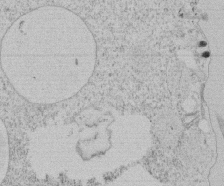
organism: Tetrahymena